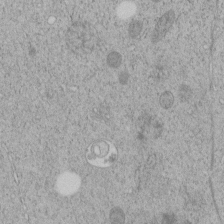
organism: C. elegans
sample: C. elegans embryo early stage